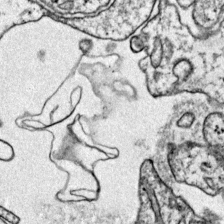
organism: Mouse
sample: Primary visual cortex